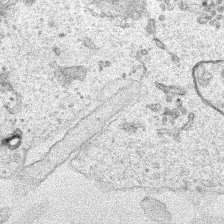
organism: Human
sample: Mitochondria in HCT116 cells